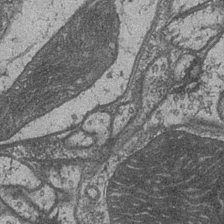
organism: Drosophila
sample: Optic medulla